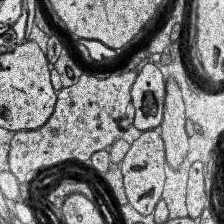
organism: Human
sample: Temporal Lobe